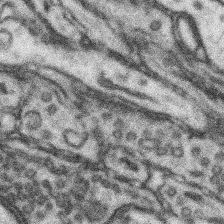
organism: Mouse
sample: Somatosensory cortex neuropil